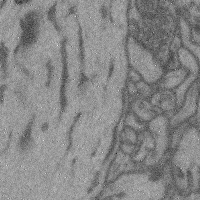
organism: Mouse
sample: Cerebral cortex